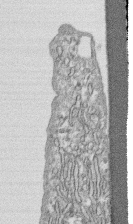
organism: Human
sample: CRL-1474